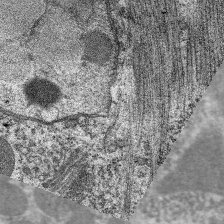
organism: C. elegans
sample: Pharynx